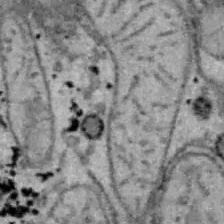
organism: Mouse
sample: Liver from an obese (ob/ob) mouse